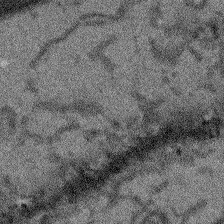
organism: Arabidopsis thaliana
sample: Root tip